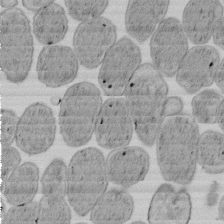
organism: E. coli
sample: Bacterial nucleoid